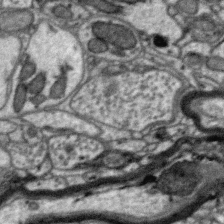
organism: Zebra finch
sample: Brain